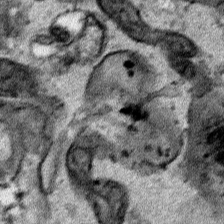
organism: Human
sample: Mitochondria in HCT116 cells